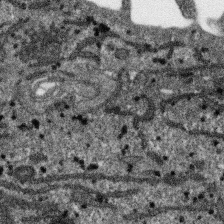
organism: Human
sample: Lung epithelial cells infected with SARS-CoV-2